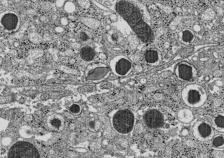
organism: C57BL Mouse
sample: Pancreatic islet